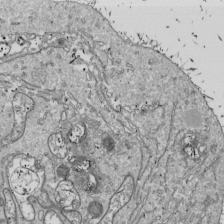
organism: Drosophila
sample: Cell division; meiosis; drosophila spermatocytes